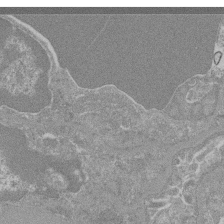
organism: Mouse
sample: Glomerulus